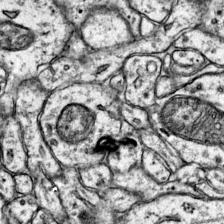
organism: Mouse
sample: Primary visual cortex